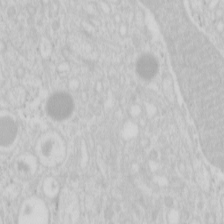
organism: Mouse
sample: Pancreas